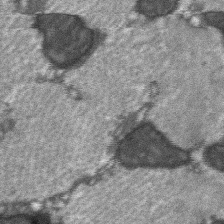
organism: C57BL Mouse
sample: Soleus